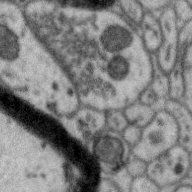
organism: Zebra finch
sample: Brain